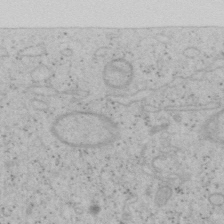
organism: Human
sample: HeLa cells